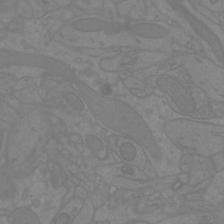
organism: Mouse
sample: Cortical neurons